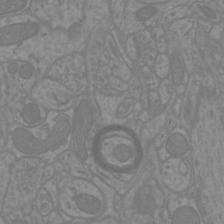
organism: Mouse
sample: Cortical neurons